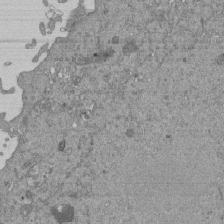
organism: Mouse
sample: ED-1 cell nuclei; centrioles